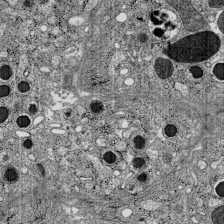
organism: C57BL Mouse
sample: Pancreatic islet